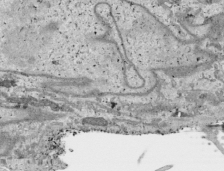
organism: Human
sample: Mitochondria in HCT116 cells